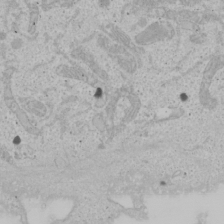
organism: Human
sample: Mitochondria in U2OS cells